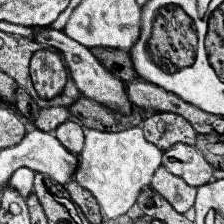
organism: Human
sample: Temporal Lobe